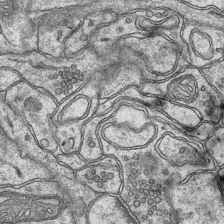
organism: Mouse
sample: CA1 Hippocampus